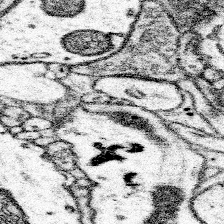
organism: Mouse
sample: Somatosensory cortex neuropil